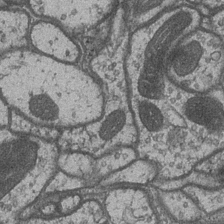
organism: Drosophila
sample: Optic medulla